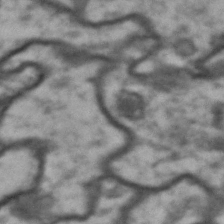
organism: Drosophila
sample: Brain